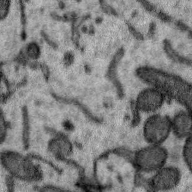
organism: Zebra finch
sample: Brain